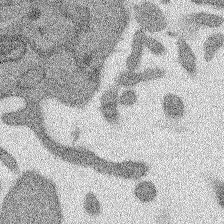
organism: Human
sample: HeLa cells